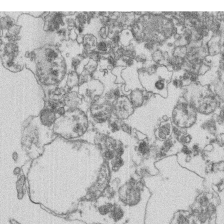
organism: Human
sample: HeLa cell HIV synapse